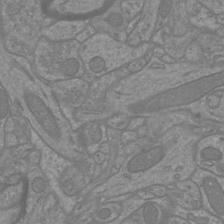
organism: Mouse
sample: Cortical neurons